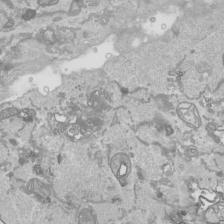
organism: Human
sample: Mitochondria in HCT116 cells